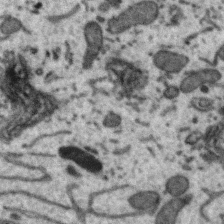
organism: Zebra finch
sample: Brain